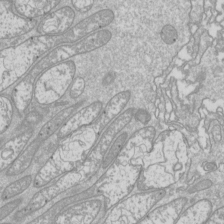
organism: Drosophila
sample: Cell division; meiosis; drosophila spermatocytes